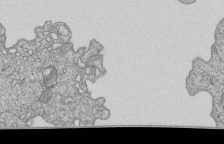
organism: Human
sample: MDA-MB-231 cells